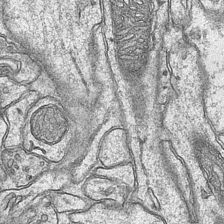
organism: Mouse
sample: CA1 Hippocampus